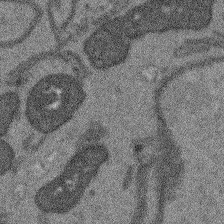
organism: Arabidopsis thaliana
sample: Root tip